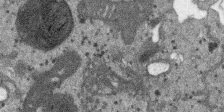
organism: Human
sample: Lung epithelial cells infected with SARS-CoV-2